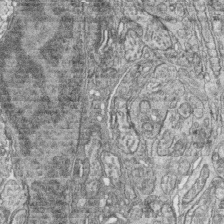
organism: Zebrafish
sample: synaptic ribbons in rod cells and cone cells